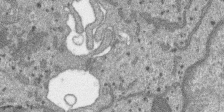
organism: Human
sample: Lung epithelial cells infected with SARS-CoV-2